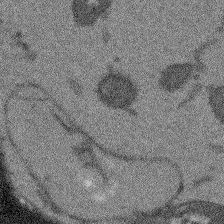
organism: Arabidopsis thaliana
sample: Root tip